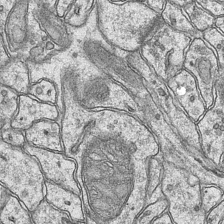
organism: Mouse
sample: CA1 Hippocampus